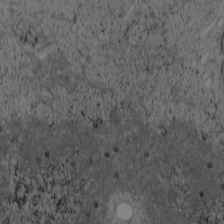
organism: African green monkey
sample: COS-7 cells